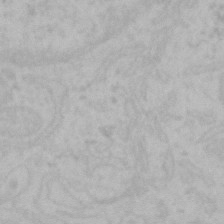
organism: Mouse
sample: Choroid plexus